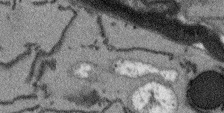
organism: Arabidopsis thaliana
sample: Root tip